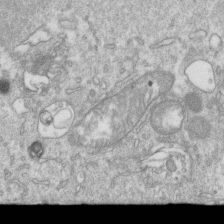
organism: Mouse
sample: Activated OT-1 CD8+ T cells